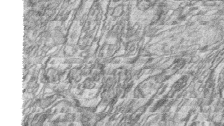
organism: Zebrafish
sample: synaptic ribbons in rod cells and cone cells